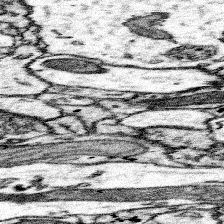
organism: Mouse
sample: Somatosensory cortex neuropil